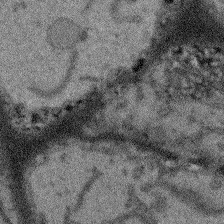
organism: Arabidopsis thaliana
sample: Root tip